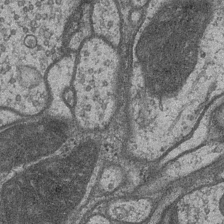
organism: Drosophila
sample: Optic medulla